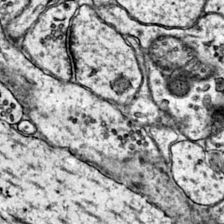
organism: Mouse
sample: Primary visual cortex